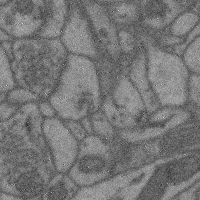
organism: Mouse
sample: Cerebral cortex